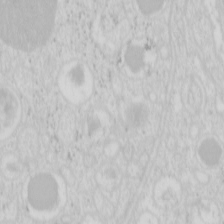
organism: Mouse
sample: Pancreas